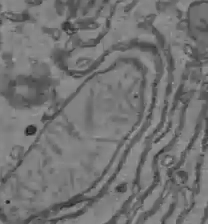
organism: C57BL Mouse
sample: Liver